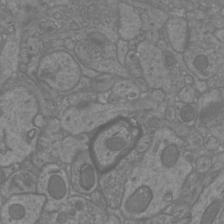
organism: Mouse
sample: Cortical neurons